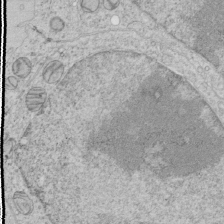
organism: Human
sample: Mitochondria in HCT116 cells